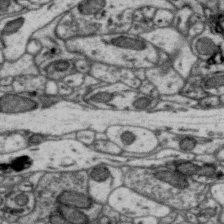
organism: Zebra finch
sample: Brain